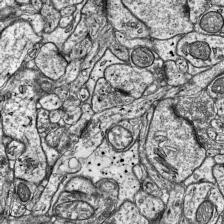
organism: Mouse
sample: Visual Cortex